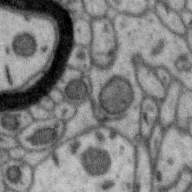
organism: Zebra finch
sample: Brain